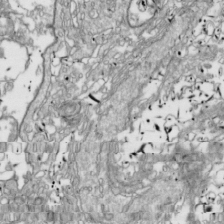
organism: Drosophila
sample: Cell division; meiosis; drosophila spermatocytes